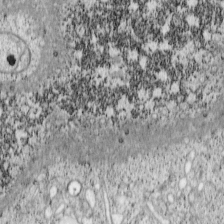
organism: African green monkey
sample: COS-7 cells